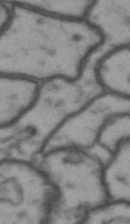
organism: Drosophila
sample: Brain